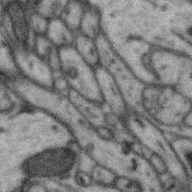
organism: Zebra finch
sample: Brain